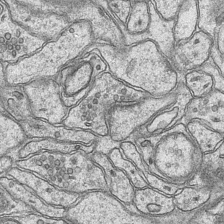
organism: Mouse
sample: CA1 Hippocampus